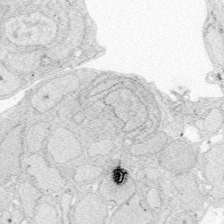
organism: Zebrafish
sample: Whole-Brain